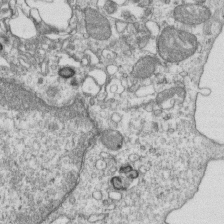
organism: Mouse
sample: Activated OT-1 CD8+ T cells